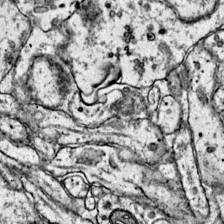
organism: Mouse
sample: Primary visual cortex